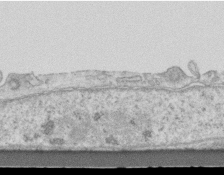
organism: Mouse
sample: Centriole in ependymal cells